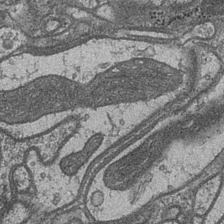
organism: Drosophila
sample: Optic medulla